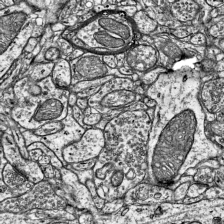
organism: Mouse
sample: Visual Cortex